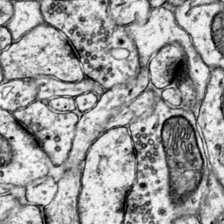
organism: Mouse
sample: Primary visual cortex